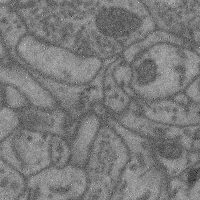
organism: Mouse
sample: Cerebral cortex